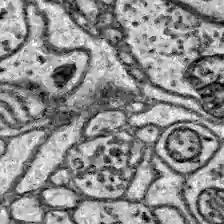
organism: Zebrafish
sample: Brain